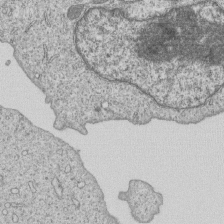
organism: Human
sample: MDA-MB-231 cells